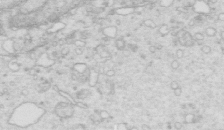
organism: Mouse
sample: Multiciliated cells